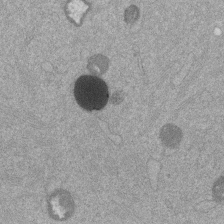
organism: Mouse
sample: Dividing mouse embryo 1 cell stage